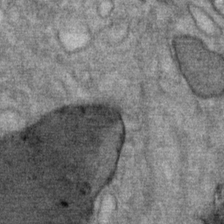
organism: Mouse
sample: Mouse Salivary gland